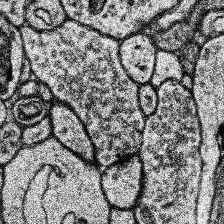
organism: Human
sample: Temporal Lobe